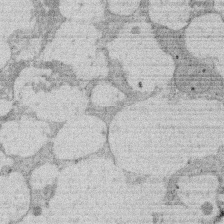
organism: Rat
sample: Salivary granule